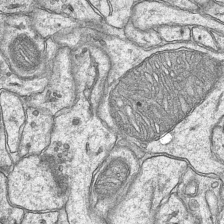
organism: Mouse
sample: CA1 Hippocampus